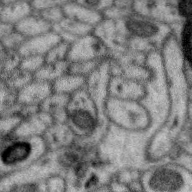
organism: Zebra finch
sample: Brain